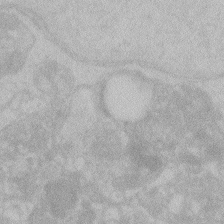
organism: Zebrafish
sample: Macrophage infected with Toxoplasma gondii